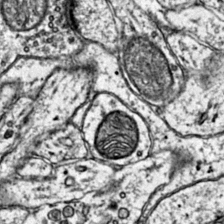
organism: Mouse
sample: Primary visual cortex